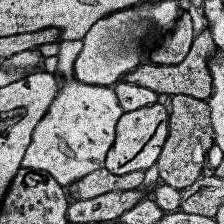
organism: Human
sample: Temporal Lobe